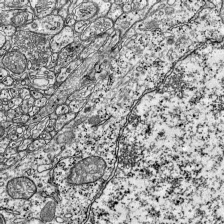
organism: Mouse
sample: Visual Cortex